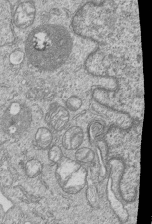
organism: Human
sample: MDA-MB-231 cells